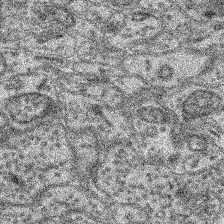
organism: Mouse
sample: Retina